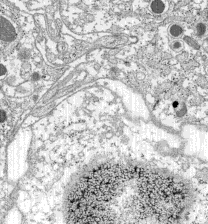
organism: C57BL Mouse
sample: Pancreatic islet